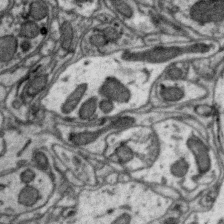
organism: Zebra finch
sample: Brain